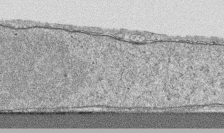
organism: Human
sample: CRL-1474